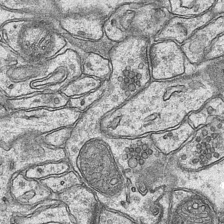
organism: Mouse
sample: CA1 Hippocampus